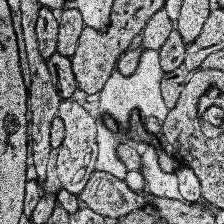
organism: Human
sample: Temporal Lobe